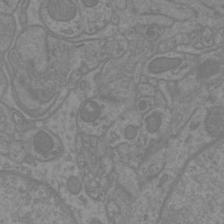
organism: Mouse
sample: Cortical neurons